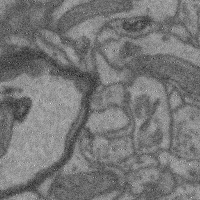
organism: Mouse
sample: Cerebral cortex